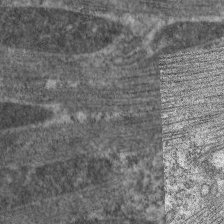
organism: C. elegans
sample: Pharynx